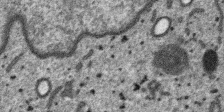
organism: Human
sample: Lung epithelial cells infected with SARS-CoV-2